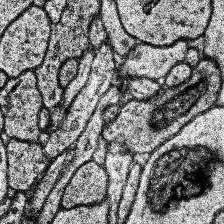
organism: Human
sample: Temporal Lobe